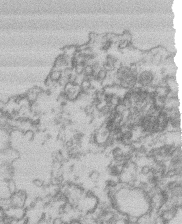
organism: Mouse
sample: T cell stromal cell synapse